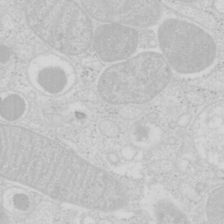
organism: Mouse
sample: Pancreas